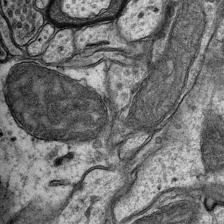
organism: Mouse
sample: CA1 Hippocampus